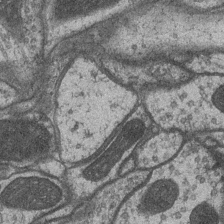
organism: Drosophila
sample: Optic medulla